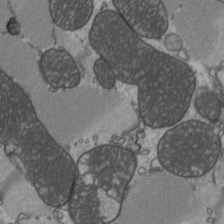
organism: C57BL Mouse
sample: Heart